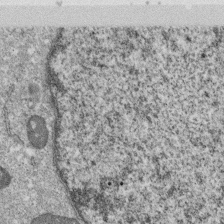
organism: African green monkey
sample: Vero E6 cells infected with SARS-CoV-2